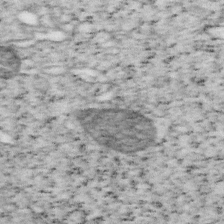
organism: Mouse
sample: OT-I killer T cells with ID8 ovarian cancer cells